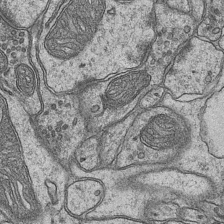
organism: Mouse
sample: CA1 Hippocampus